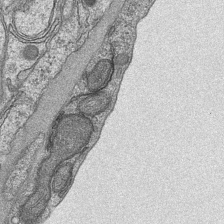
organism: Mouse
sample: CA1 Hippocampus